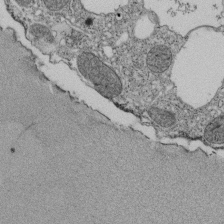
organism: Tetrahymena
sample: Cilia in tetrahymena